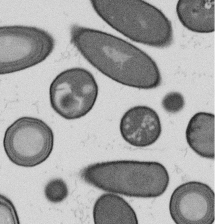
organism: B. subtilis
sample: Bacterial spore